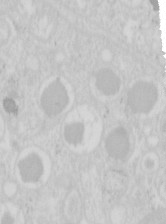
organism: Mouse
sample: Pancreas